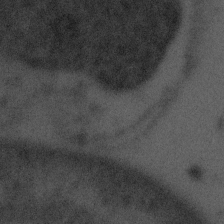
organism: Tuwongella immobilis